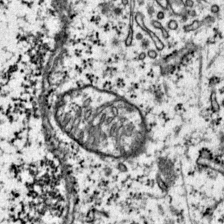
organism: Mouse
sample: Primary visual cortex